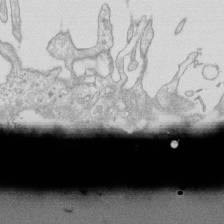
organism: Mouse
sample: Macrophages